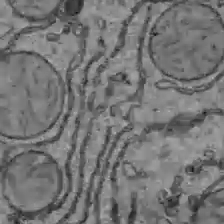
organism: C57BL Mouse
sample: Liver